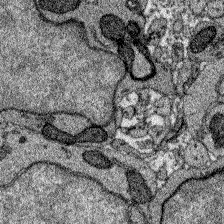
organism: Zebrafish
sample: Larval olfactory bulb